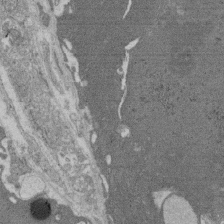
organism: Rat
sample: Salivary granule